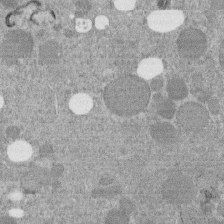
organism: C. elegans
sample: C. elegans embryo early stage